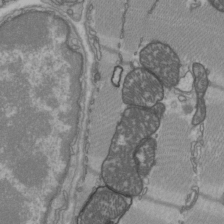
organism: C57BL Mouse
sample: Heart